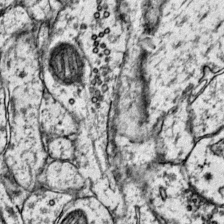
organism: Mouse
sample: Primary visual cortex